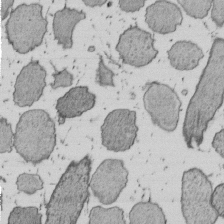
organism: E. coli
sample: Bacterial nucleoid